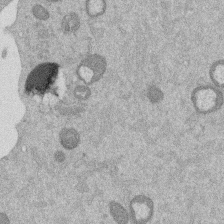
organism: Mouse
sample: Dividing mouse embryo 1 cell stage